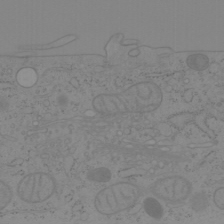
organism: Human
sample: HeLa cells